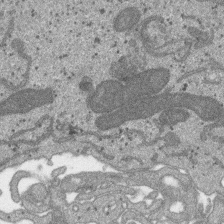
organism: Human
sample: Lung epithelial cells infected with SARS-CoV-2